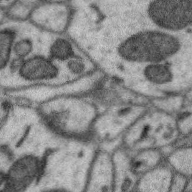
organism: Zebra finch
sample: Brain